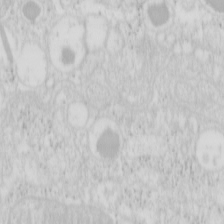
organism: Mouse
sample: Pancreas